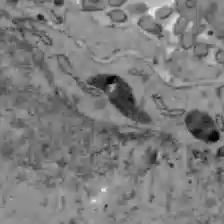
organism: C57BL Mouse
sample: Liver